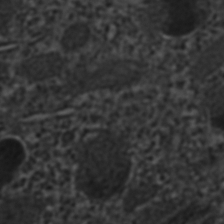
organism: C. elegans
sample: C. elegans embryo